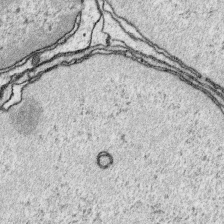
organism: Platynereis dumerilii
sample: Parapodia